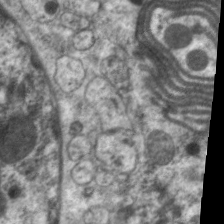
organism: C. elegans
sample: Pharynx